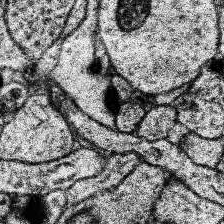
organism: Human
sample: Temporal Lobe